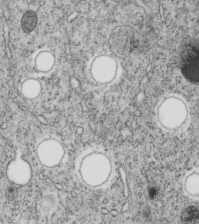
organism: C. elegans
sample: C. elegans embryo early stage